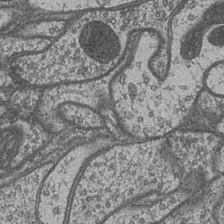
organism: Drosophila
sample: Optic medulla